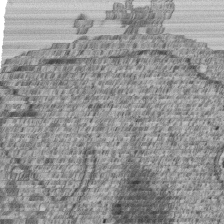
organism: Human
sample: MDA-MB-231 cells